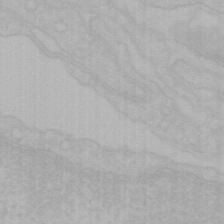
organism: Mouse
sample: Choroid plexus